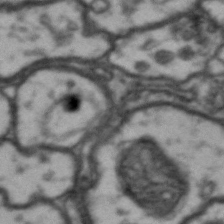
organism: Drosophila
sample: Brain